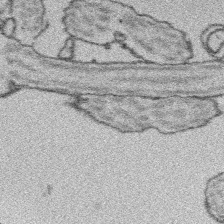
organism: Platynereis dumerilii